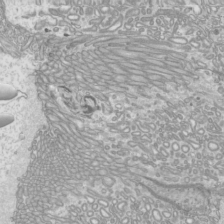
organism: Mouse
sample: Cilia; mouse epididymis